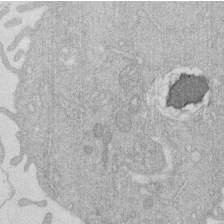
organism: Human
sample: Macrophage cells